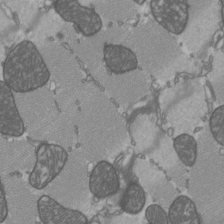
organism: C57BL Mouse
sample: Heart